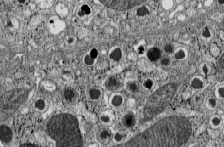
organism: C57BL Mouse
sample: Pancreatic islet